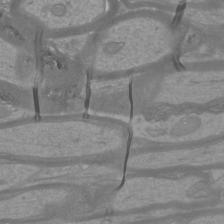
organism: Mouse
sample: Cortical neurons